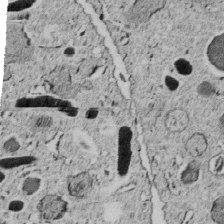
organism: C. elegans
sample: C. elegans embryo early stage